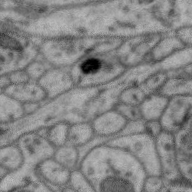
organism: Zebra finch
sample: Brain